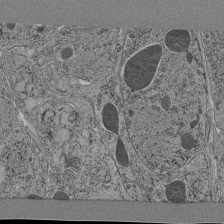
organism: C. elegans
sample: C. elegans pharynx